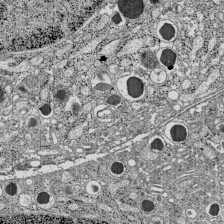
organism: C57BL Mouse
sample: Pancreatic islet